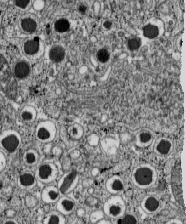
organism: C57BL Mouse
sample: Pancreatic islet